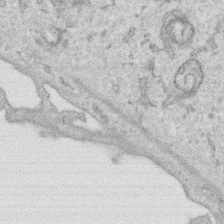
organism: Human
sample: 1205lu cells